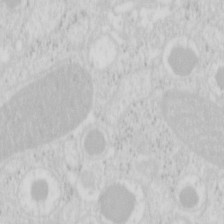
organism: Mouse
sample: Pancreas